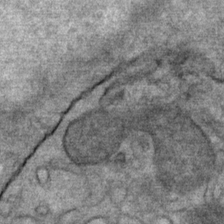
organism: Mouse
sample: Mouse Salivary gland